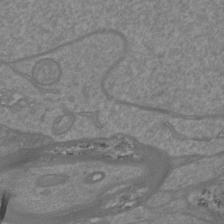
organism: Mouse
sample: Cortical neurons